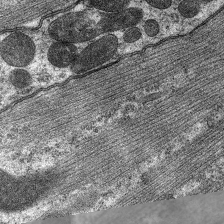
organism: C. elegans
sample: Pharynx